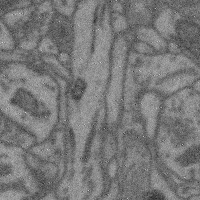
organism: Mouse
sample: Cerebral cortex